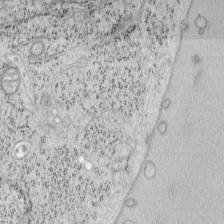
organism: Mouse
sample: OT-I killer T cells with ID8 ovarian cancer cells